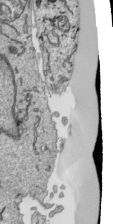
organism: Human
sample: Mitochondria in HCT116 cells